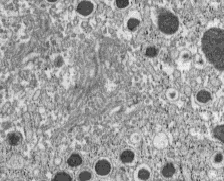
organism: C57BL Mouse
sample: Pancreatic islet